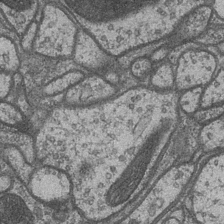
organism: Drosophila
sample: Optic medulla